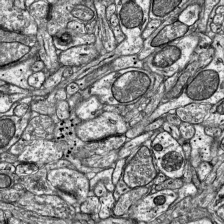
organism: Mouse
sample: Visual Cortex